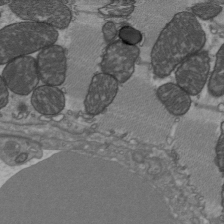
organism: C57BL Mouse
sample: Heart